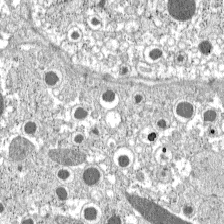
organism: C57BL Mouse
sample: Pancreatic islet